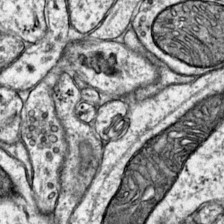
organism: Mouse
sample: Primary visual cortex